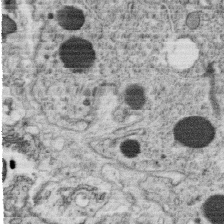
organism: C. elegans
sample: C. elegans oocyte; sperm cells